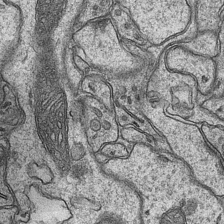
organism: Mouse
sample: CA1 Hippocampus